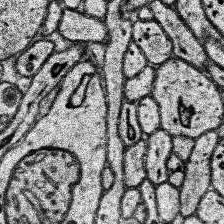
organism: Human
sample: Temporal Lobe